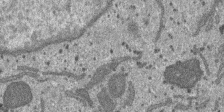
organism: Human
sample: Lung epithelial cells infected with SARS-CoV-2